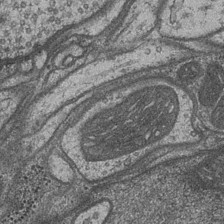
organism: Drosophila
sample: Optic medulla